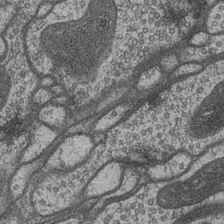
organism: Drosophila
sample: Optic medulla